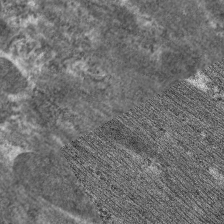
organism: C. elegans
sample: Pharynx